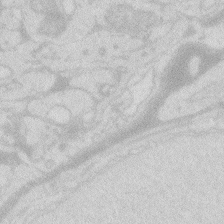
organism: Zebrafish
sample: Macrophage